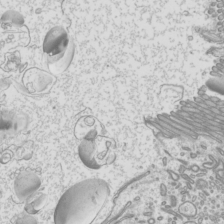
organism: Mouse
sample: Cilia; mouse epididymis